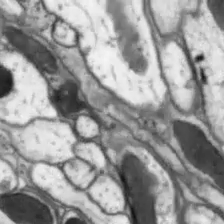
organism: Drosophila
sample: Optic lobe